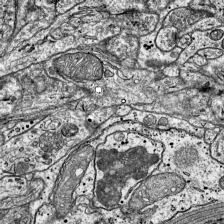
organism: Mouse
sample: Visual Cortex